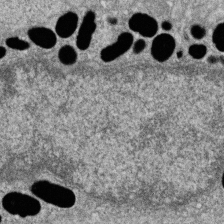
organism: Zebrafish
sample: Cilia; retinal pigment epithelium